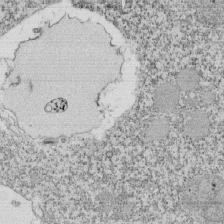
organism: Tetrahymena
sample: Cilia in tetrahymena